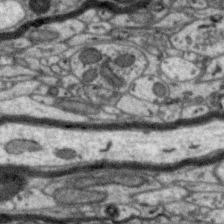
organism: Zebra finch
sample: Brain